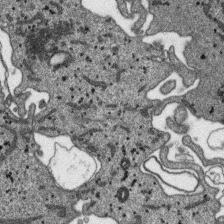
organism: Human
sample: Lung epithelial cells infected with SARS-CoV-2